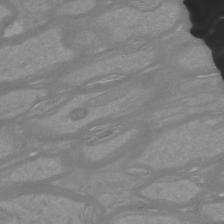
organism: Mouse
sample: Cortical neurons